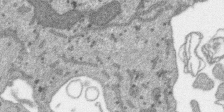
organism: Human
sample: Lung epithelial cells infected with SARS-CoV-2